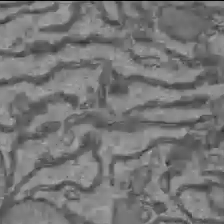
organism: C57BL Mouse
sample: Liver